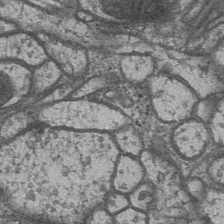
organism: Drosophila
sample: Optic medulla